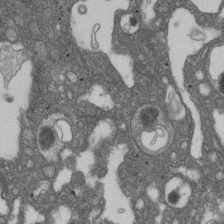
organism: Drosophila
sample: Nephrocyte